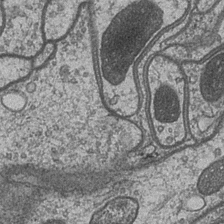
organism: Drosophila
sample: Optic medulla